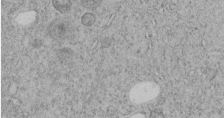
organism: C. elegans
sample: C. elegans embryo early stage